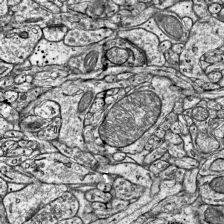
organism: Mouse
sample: Visual Cortex